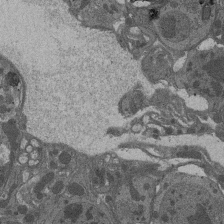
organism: Drosophila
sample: Antenna